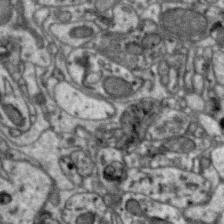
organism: Zebra finch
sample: Brain